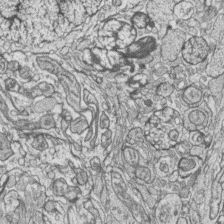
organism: Zebrafish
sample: synaptic ribbons in rod cells and cone cells